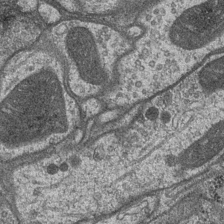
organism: Drosophila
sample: Optic medulla